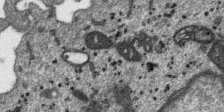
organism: Human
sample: Lung epithelial cells infected with SARS-CoV-2